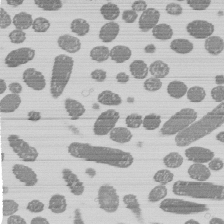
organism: E. coli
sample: Bacterial nucleoid